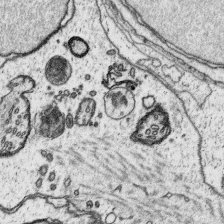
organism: Platynereis dumerilii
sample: Parapodia